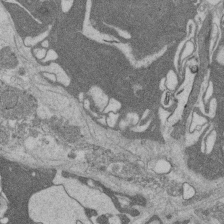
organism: Rat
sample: Salivary granule